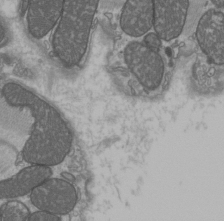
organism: C57BL Mouse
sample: Heart